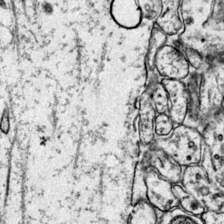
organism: Mouse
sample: Primary visual cortex